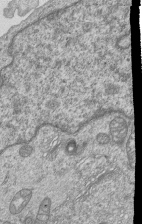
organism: Human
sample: MDA-MB-231 cells